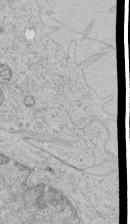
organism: Human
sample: Mitochondria in HCT116 cells